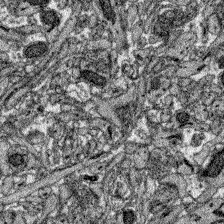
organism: Zebrafish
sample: Larval olfactory bulb